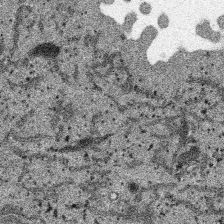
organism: Human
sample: Lung epithelial cells infected with SARS-CoV-2